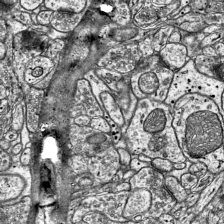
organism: Mouse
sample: Visual Cortex